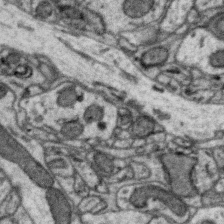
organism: Zebra finch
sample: Brain